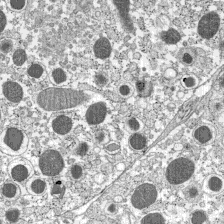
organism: C57BL Mouse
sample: Pancreatic islet